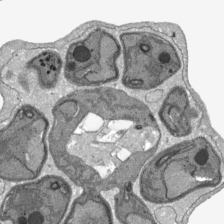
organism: Plasmodium falciparum